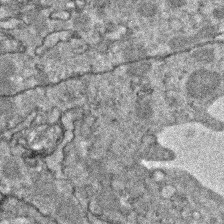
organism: Zebrafish